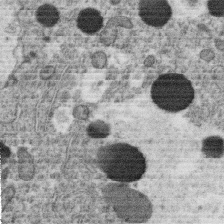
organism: C. elegans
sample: C. elegans oocyte; sperm cells